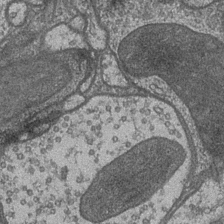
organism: Drosophila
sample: Optic medulla